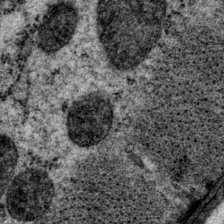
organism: P. pacificus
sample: Pharynx